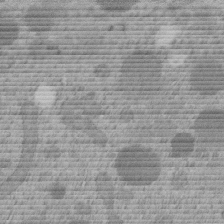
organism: C. elegans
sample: C. elegans embryo early stage